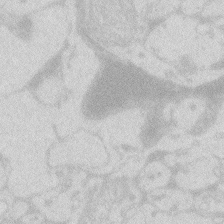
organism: Zebrafish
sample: Macrophage